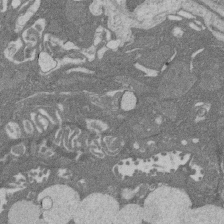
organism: Rat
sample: Salivary granule